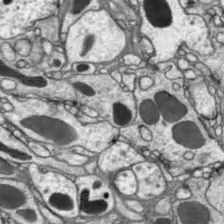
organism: Drosophila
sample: Optic lobe